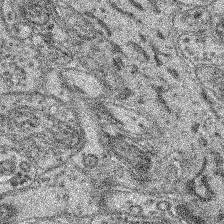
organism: Mouse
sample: Retina